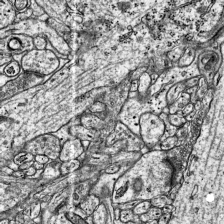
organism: Mouse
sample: Visual Cortex